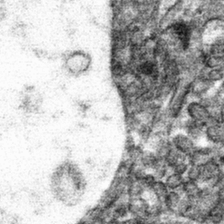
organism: Mouse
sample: Mouse hepatocytes